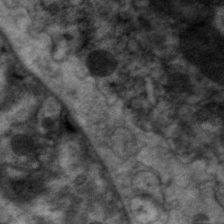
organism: C. elegans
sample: Pharynx